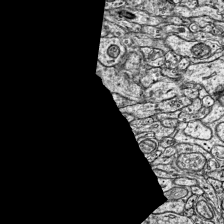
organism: Mouse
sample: Visual Cortex